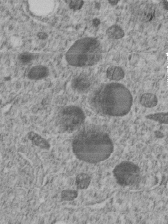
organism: C. elegans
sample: C. elegans embryo early stage